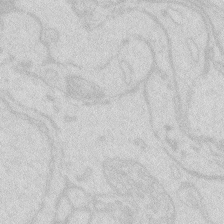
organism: Zebrafish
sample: Macrophage